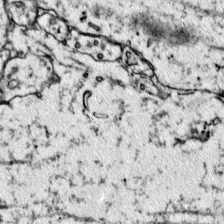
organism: Mouse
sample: Primary visual cortex